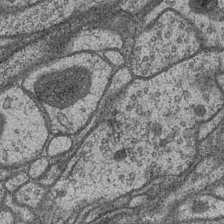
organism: Drosophila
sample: Optic medulla